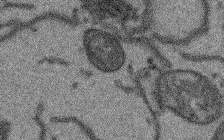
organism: Arabidopsis thaliana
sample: Root tip